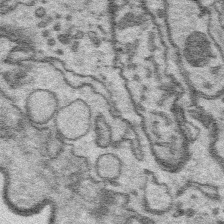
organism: Platynereis dumerilii